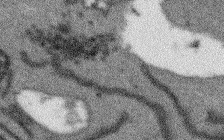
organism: Arabidopsis thaliana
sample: Root tip